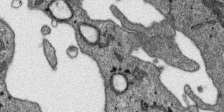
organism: Human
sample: Lung epithelial cells infected with SARS-CoV-2